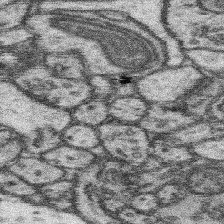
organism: Mouse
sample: Somatosensory cortex neuropil